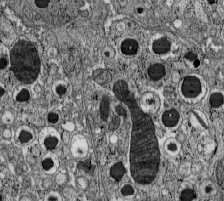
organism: C57BL Mouse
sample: Pancreatic islet